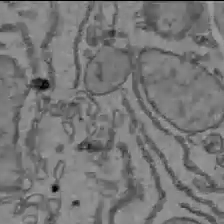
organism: C57BL Mouse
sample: Liver